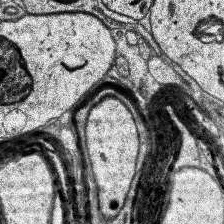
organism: Human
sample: Temporal Lobe